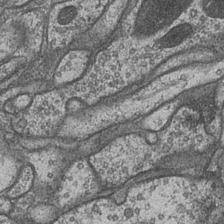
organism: Drosophila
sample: Optic medulla